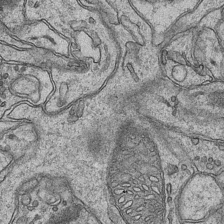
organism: Mouse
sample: CA1 Hippocampus